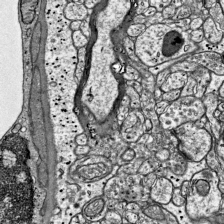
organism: Mouse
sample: Visual Cortex